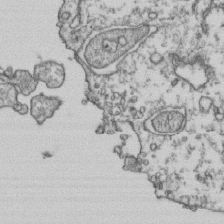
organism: Human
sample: Activated Jurkat CD4+ T cells